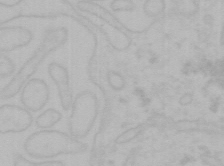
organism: Mouse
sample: Choroid plexus